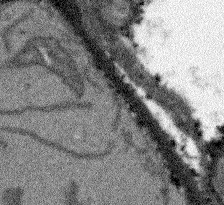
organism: Arabidopsis thaliana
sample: Root tip